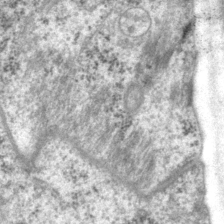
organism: P. pacificus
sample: Pharynx